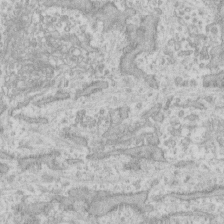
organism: Human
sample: Fibroblast cells